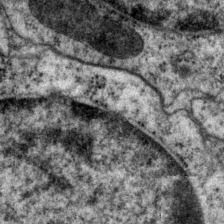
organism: P. pacificus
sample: Pharynx